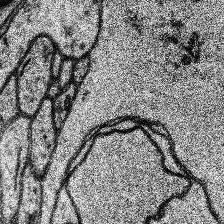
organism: Human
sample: Temporal Lobe